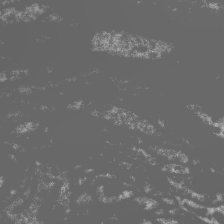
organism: Zebra finch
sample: Brain